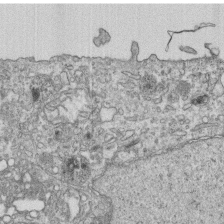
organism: Human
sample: HeLa cell HIV synapse